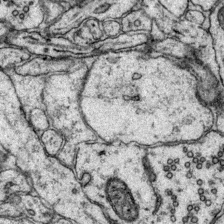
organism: Mouse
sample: Primary visual cortex